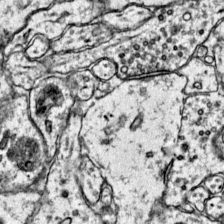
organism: Mouse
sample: Primary visual cortex